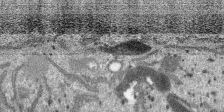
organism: Human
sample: Lung epithelial cells infected with SARS-CoV-2